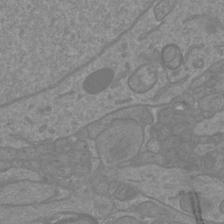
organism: Mouse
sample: Cortical neurons